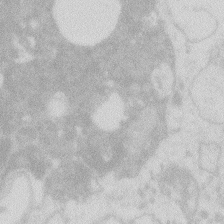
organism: Zebrafish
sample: Macrophage